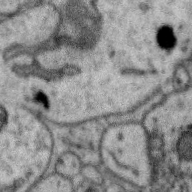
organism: Zebra finch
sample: Brain